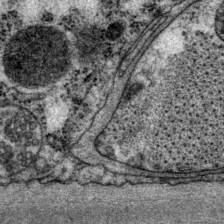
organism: P. pacificus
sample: Pharynx